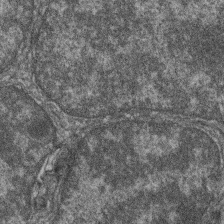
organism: Zebrafish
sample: Cilia; retinal pigment epithelium